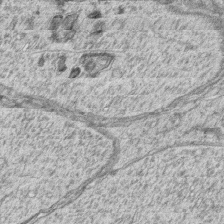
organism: Zebrafish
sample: synaptic ribbons in rod cells and cone cells